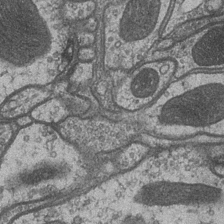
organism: Drosophila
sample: Optic medulla